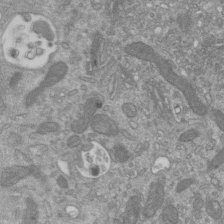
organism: Mouse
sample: ED-1 cell nuclei; centrioles